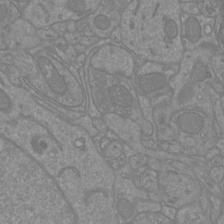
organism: Mouse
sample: Cortical neurons